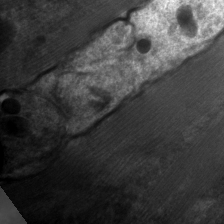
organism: C. elegans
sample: Pharynx